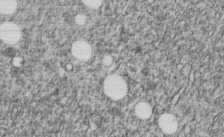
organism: C. elegans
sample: C. elegans embryo early stage